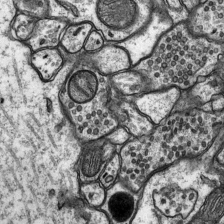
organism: Rat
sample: Hippocampus